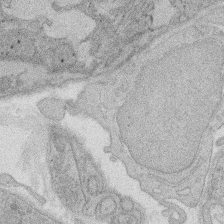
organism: Rat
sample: Salivary granule